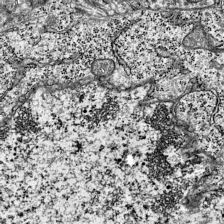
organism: Mouse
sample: Visual Cortex